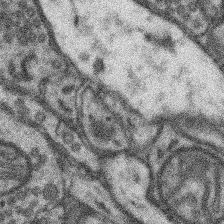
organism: Mouse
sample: Somatosensory cortex neuropil